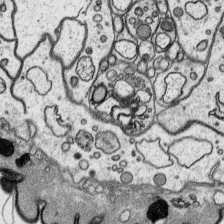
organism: Platynereis dumerilii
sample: Parapodia